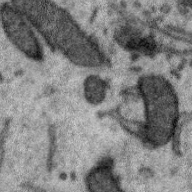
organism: Zebra finch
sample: Brain